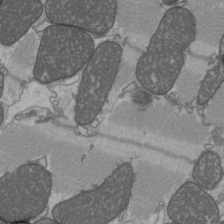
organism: C57BL Mouse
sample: Heart